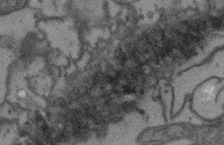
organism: Arabidopsis thaliana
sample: Root tip